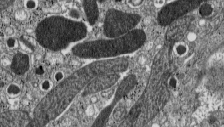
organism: C57BL Mouse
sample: Pancreatic islet